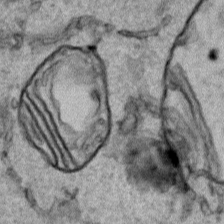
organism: Human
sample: Mitochondria in HCT116 cells